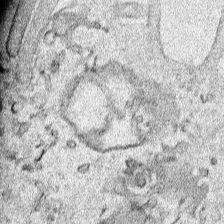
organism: Human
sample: Mitochondria in HCT116 cells